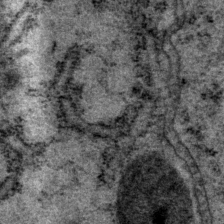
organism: P. pacificus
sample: Pharynx